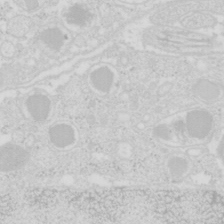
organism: Mouse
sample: Pancreas